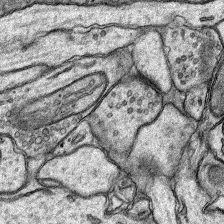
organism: Rat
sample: Hippocampus